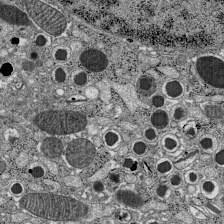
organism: C57BL Mouse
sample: Pancreatic islet